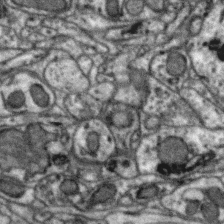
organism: Zebra finch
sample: Brain